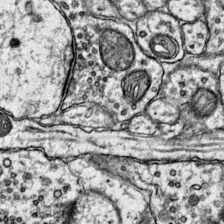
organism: Mouse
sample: Primary visual cortex